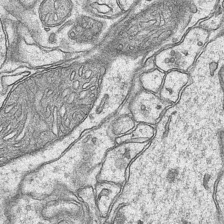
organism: Mouse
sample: CA1 Hippocampus